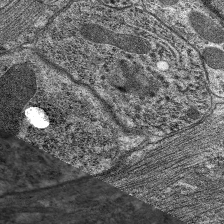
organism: C. elegans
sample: Pharynx